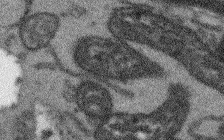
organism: Arabidopsis thaliana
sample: Root tip